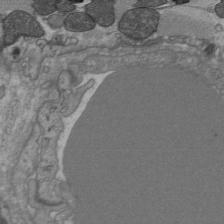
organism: C57BL Mouse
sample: Heart